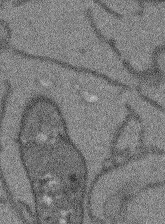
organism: Arabidopsis thaliana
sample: Root tip